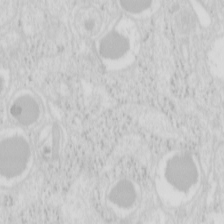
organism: Mouse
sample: Pancreas